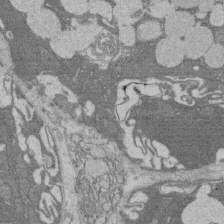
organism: Rat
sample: Salivary granule